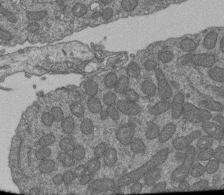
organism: Human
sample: Retinal organoid Rod and Cone cells